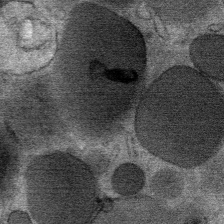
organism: Mouse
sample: Mouse Salivary gland